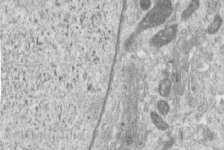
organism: Human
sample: Centriole in RPE cells